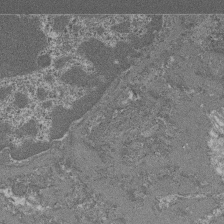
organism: Mouse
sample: Glomerulus